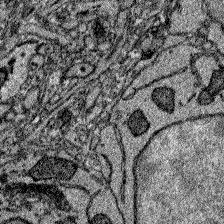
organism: Zebrafish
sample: Larval olfactory bulb